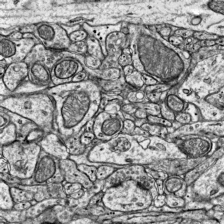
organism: Mouse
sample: Visual Cortex